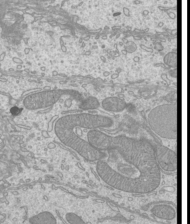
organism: Mouse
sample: Cilia; mouse epididymis